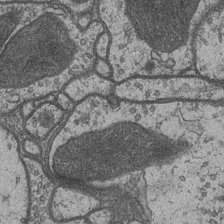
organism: Drosophila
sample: Optic medulla